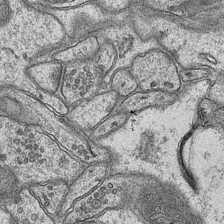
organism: Mouse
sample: CA1 Hippocampus